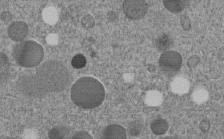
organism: C. elegans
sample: C. elegans embryo early stage